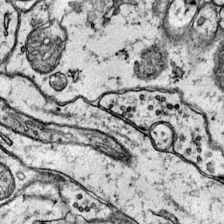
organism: Mouse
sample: Primary visual cortex